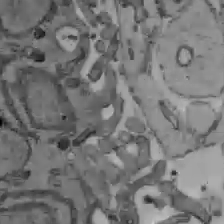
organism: C57BL Mouse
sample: Liver